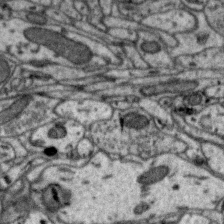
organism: Zebra finch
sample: Brain